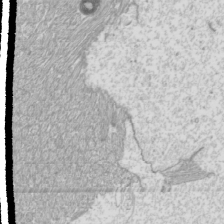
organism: Mouse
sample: Cilia; mouse epididymis